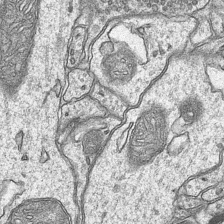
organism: Mouse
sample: CA1 Hippocampus